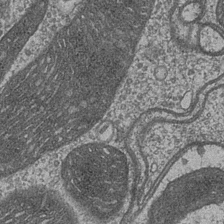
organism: Drosophila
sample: Optic medulla